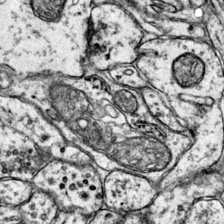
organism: Mouse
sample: Primary visual cortex